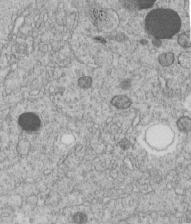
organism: C. elegans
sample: C. elegans embryo early stage